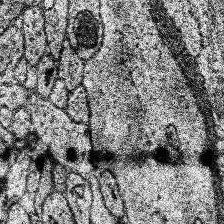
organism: Human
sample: Temporal Lobe